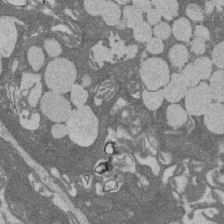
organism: Rat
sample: Salivary granule